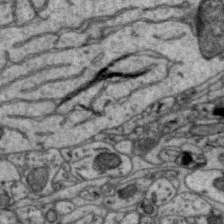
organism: Zebra finch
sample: Brain